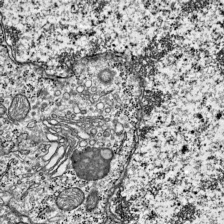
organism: Mouse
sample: Visual Cortex